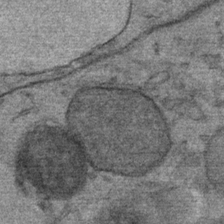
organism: Mouse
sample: Mouse Salivary gland